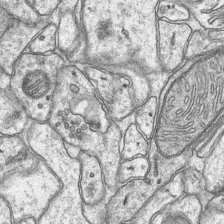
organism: Mouse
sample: CA1 Hippocampus